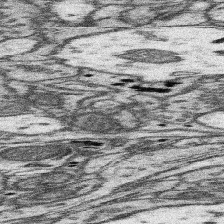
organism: Mouse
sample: Somatosensory cortex neuropil